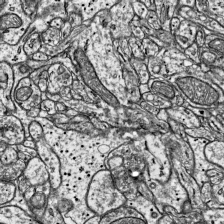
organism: Mouse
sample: Visual Cortex